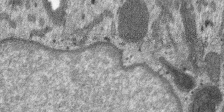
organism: Human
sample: Lung epithelial cells infected with SARS-CoV-2